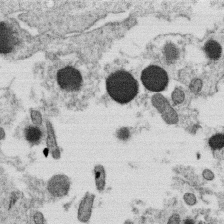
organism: C. elegans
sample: C. elegans oocyte; sperm cells